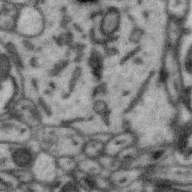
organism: Zebra finch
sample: Brain